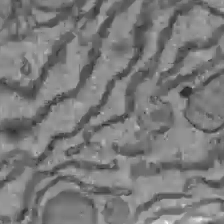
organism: C57BL Mouse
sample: Liver